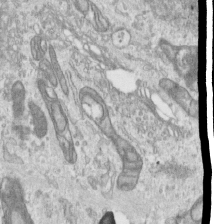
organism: Human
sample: Centriole in RPE cells